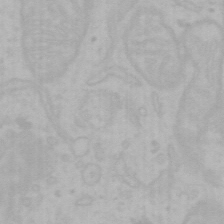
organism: Mouse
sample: Choroid plexus